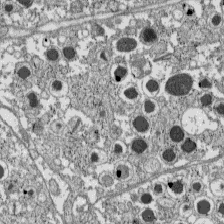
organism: C57BL Mouse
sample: Pancreatic islet